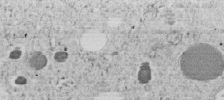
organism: C. elegans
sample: C. elegans embryo early stage